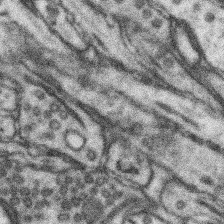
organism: Mouse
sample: Somatosensory cortex neuropil